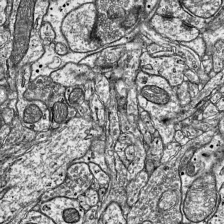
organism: Mouse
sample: Visual Cortex